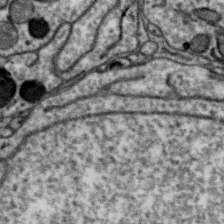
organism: Zebra finch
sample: Brain